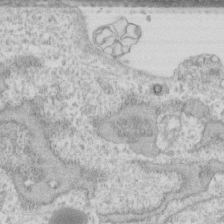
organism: Human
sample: Fibroblast cells